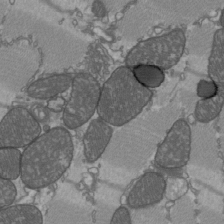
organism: C57BL Mouse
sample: Heart